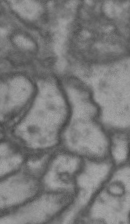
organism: Drosophila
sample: Brain